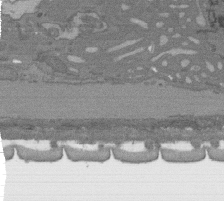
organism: C. elegans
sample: AFD neurons C. elegans